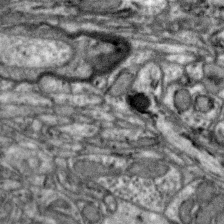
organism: Zebra finch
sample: Brain